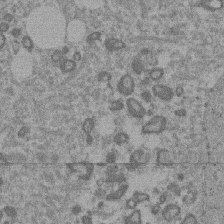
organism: Mouse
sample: Dividing mouse embryo 1 cell stage